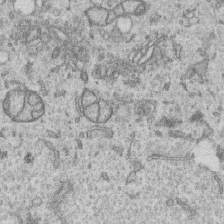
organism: Human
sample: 1205lu cells